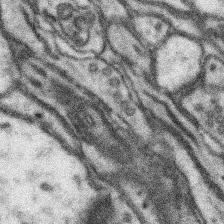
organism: Mouse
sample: Somatosensory cortex neuropil